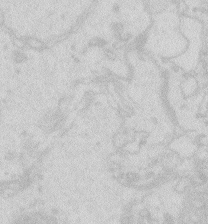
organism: Zebrafish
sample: Macrophage